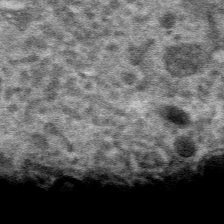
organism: Mouse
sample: Mouse hepatocytes